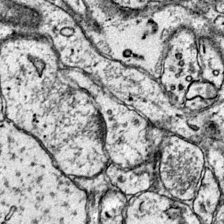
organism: Mouse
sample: Primary visual cortex